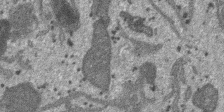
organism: Human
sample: Lung epithelial cells infected with SARS-CoV-2